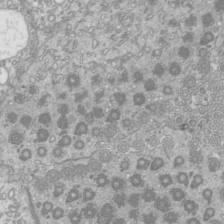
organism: Mouse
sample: Cilia; mouse epididymis